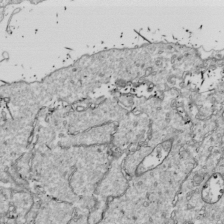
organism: Drosophila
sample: Cell division; meiosis; drosophila spermatocytes